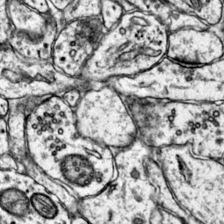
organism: Mouse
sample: Primary visual cortex